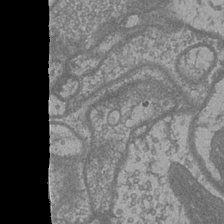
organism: Drosophila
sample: Optic medulla